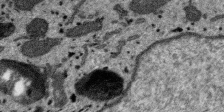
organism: Human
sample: Lung epithelial cells, uninfected (mock) control